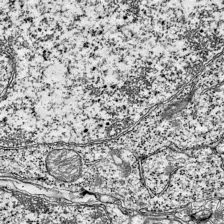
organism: Mouse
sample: Visual Cortex